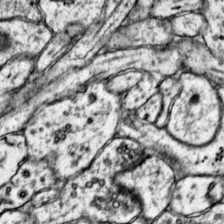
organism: Mouse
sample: Primary visual cortex